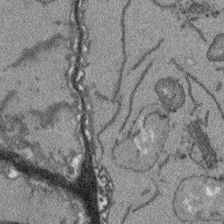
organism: Arabidopsis thaliana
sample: Root tip